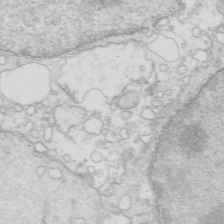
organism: Mouse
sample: Multiciliated cells